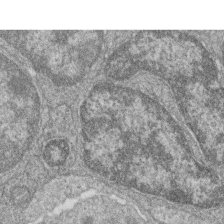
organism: Zebrafish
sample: Cilia; retinal pigment epithelium